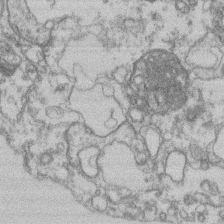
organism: Mouse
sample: T cell stromal cell synapse